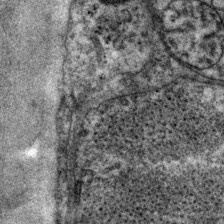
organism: P. pacificus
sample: Pharynx